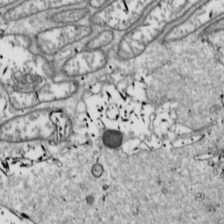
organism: Drosophila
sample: Cell division; meiosis; drosophila spermatocytes